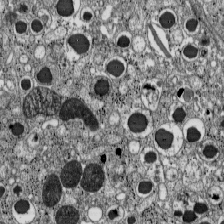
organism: C57BL Mouse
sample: Pancreatic islet